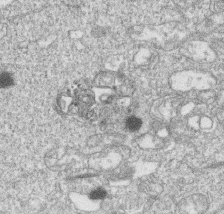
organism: Human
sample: HeLa cell HIV synapse